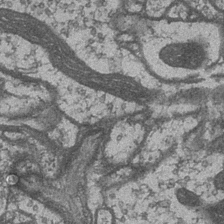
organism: Drosophila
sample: Optic medulla